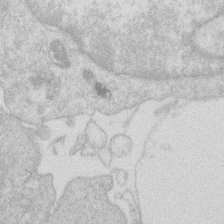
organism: Human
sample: Macrophage cells